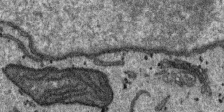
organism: Human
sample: Lung epithelial cells, uninfected (mock) control